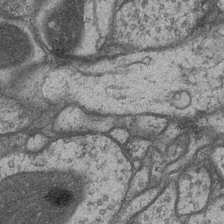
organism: Drosophila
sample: Optic medulla